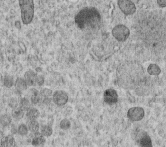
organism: C. elegans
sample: C. elegans embryo early stage